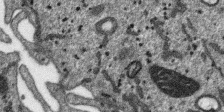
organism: Human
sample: Lung epithelial cells infected with SARS-CoV-2